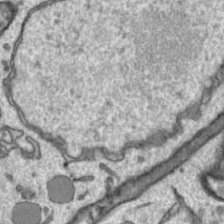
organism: Toxoplasma gondii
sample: Parasites in a vacuole inside a host cell